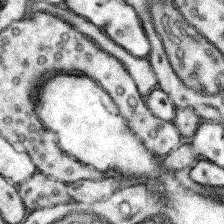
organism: Mouse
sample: Somatosensory cortex neuropil